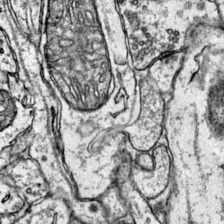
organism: Mouse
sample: Primary visual cortex